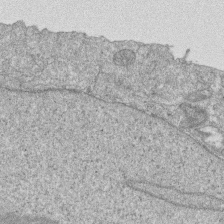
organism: Human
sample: HeLa cell HIV synapse